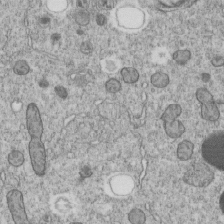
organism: C. elegans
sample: C. elegans embryo early stage